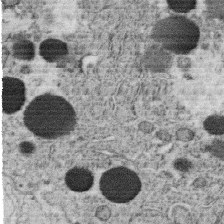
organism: C. elegans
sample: C. elegans oocyte; sperm cells